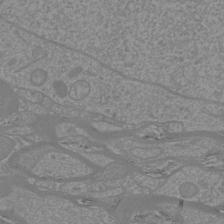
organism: Mouse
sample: Cortical neurons